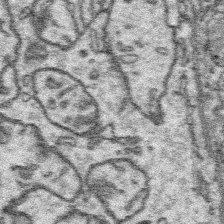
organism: Platynereis dumerilii